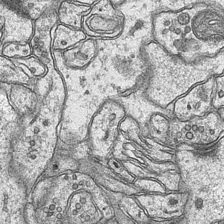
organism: Mouse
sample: CA1 Hippocampus